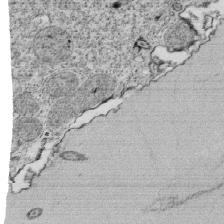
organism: Tetrahymena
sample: Cilia in tetrahymena